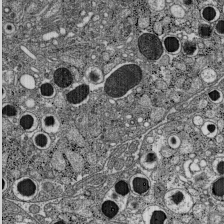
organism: C57BL Mouse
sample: Pancreatic islet